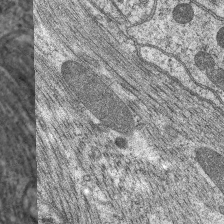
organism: C. elegans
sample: Pharynx